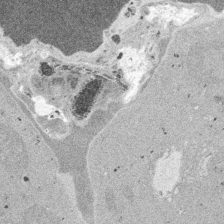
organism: Embia sp.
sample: Silk gland